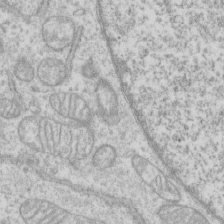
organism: Human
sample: CRL-1474